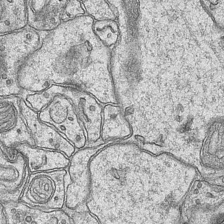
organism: Mouse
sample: CA1 Hippocampus